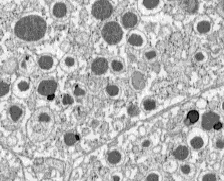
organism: C57BL Mouse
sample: Pancreatic islet